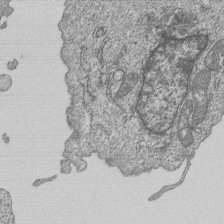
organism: Human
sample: MDA-MB-231 cells